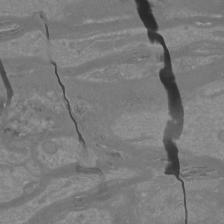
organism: Mouse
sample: Cortical neurons